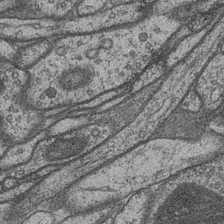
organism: Drosophila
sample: Optic medulla